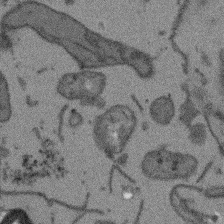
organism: Arabidopsis thaliana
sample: Root tip